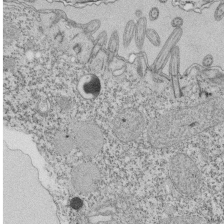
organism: Tetrahymena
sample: Cilia in tetrahymena